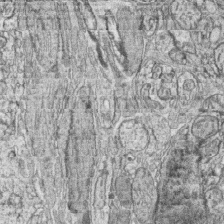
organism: Zebrafish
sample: synaptic ribbons in rod cells and cone cells